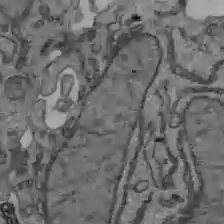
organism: C57BL Mouse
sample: Liver